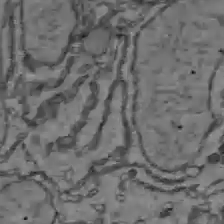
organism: C57BL Mouse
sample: Liver